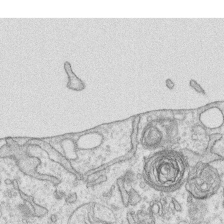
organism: Human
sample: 1205lu cells